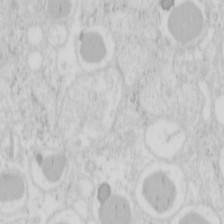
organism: Mouse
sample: Pancreas